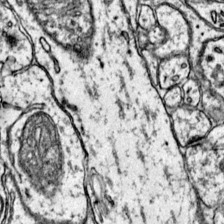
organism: Mouse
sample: Primary visual cortex